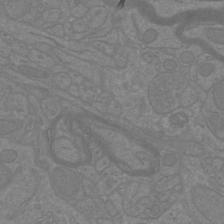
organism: Mouse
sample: Cortical neurons